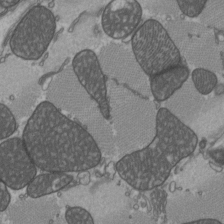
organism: C57BL Mouse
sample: Heart